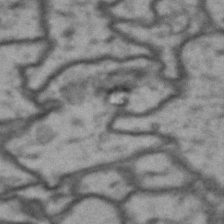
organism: Drosophila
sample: Brain